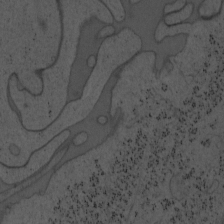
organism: Mouse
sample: OT-I killer T cells with ID8 ovarian cancer cells